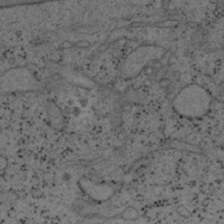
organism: Human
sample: HeLa cells